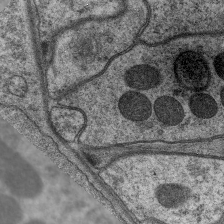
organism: C. elegans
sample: Pharynx